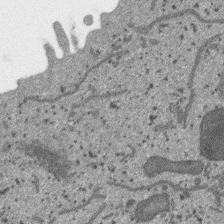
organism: Human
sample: Lung epithelial cells infected with SARS-CoV-2